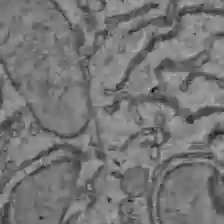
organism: C57BL Mouse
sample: Liver